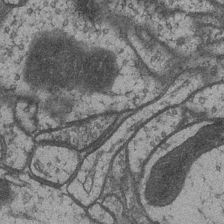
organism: Drosophila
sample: Optic medulla